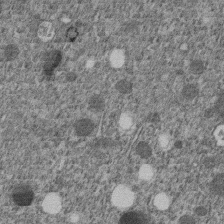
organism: C. elegans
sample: C. elegans embryo early stage